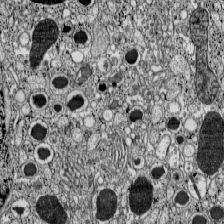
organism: C57BL Mouse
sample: Pancreatic islet